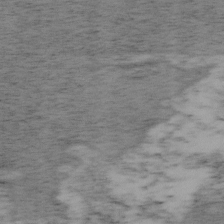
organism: Mouse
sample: OT-I killer T cells with ID8 ovarian cancer cells